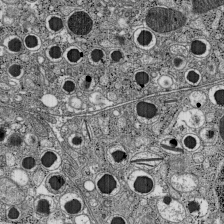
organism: C57BL Mouse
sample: Pancreatic islet